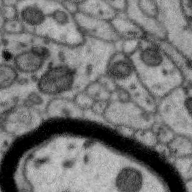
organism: Zebra finch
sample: Brain